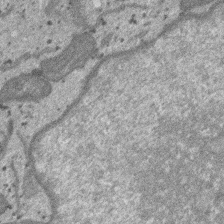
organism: Human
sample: Lung epithelial cells infected with SARS-CoV-2